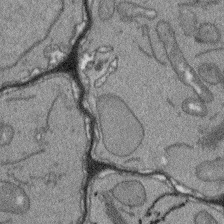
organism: Arabidopsis thaliana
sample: Root tip